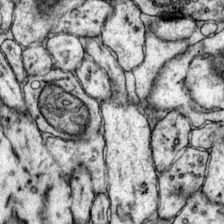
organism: Mouse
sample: Primary visual cortex